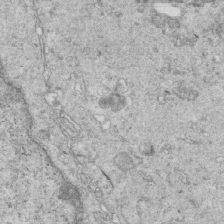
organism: Mouse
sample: Multiciliated cells